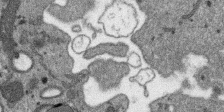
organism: Human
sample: Lung epithelial cells infected with SARS-CoV-2